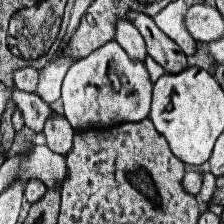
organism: Human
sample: Temporal Lobe